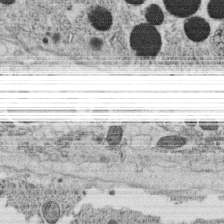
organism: C. elegans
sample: C. elegans oocyte; sperm cells